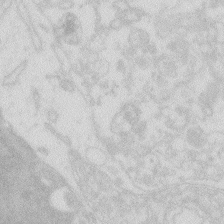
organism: Zebrafish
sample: Macrophage